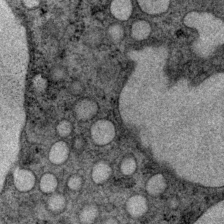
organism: P. pacificus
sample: Pharynx